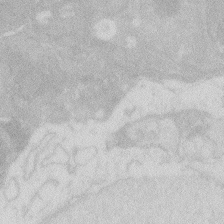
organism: Zebrafish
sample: Macrophage